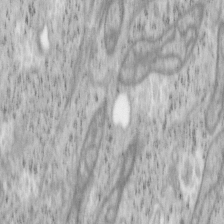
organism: Human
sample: HeLa cells